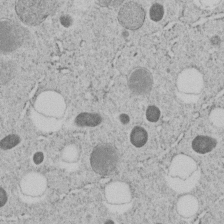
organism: C. elegans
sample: C. elegans embryo early stage